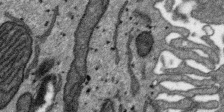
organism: Human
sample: Lung epithelial cells, uninfected (mock) control